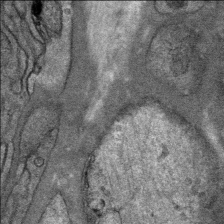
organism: Mouse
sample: Mouse Salivary gland